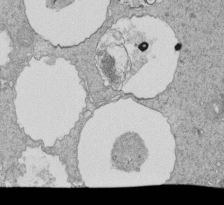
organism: Tetrahymena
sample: Cilia in tetrahymena